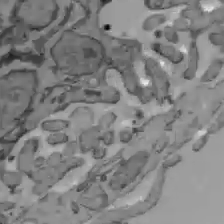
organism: C57BL Mouse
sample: Liver